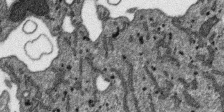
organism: Human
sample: Lung epithelial cells infected with SARS-CoV-2